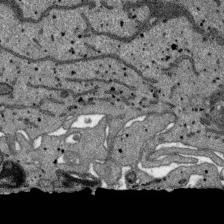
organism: Human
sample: Lung epithelial cells, uninfected (mock) control